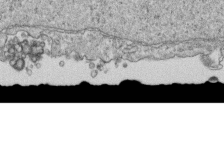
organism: Human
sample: HeLa cell HIV synapse